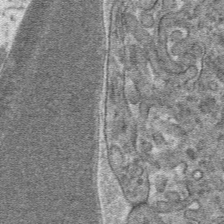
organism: Mouse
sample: Mouse hepatocytes